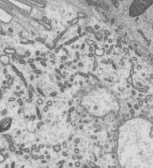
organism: Mouse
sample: Mouse epididymis efferent ductule cilia